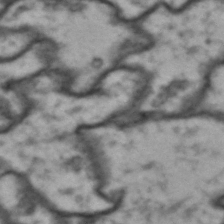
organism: Drosophila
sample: Brain